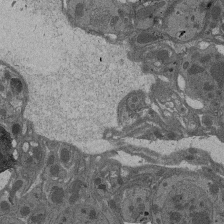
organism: Drosophila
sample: Antenna